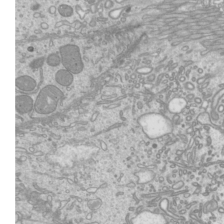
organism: Mouse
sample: Cilia; mouse epididymis